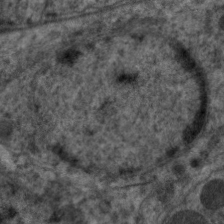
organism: C. elegans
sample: Pharynx